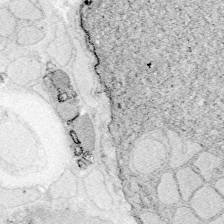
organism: Zebrafish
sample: Whole-Brain